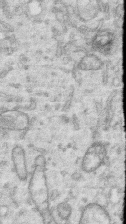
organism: Human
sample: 1205lu cells